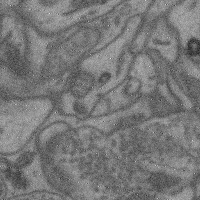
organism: Mouse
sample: Cerebral cortex